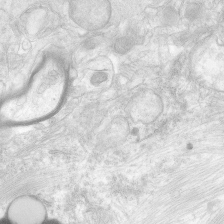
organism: Human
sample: Neocortex